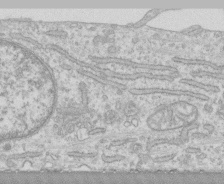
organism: Human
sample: CRL-1474